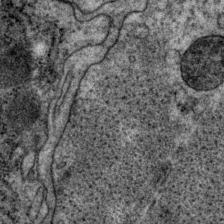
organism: P. pacificus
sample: Pharynx